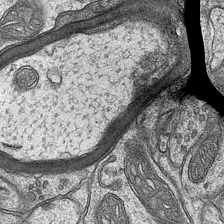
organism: Mouse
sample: CA1 Hippocampus